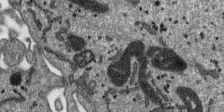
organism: Human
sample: Lung epithelial cells infected with SARS-CoV-2